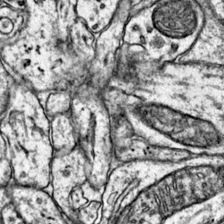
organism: Mouse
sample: Primary visual cortex